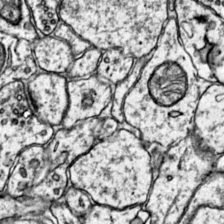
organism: Mouse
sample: Primary visual cortex